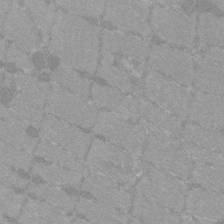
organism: C57BL Mouse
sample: Tibialis anterior muscle cell